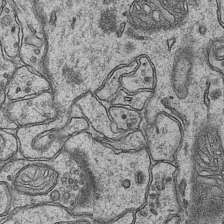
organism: Mouse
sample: CA1 Hippocampus